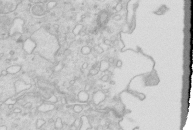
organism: Mouse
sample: Multiciliated cells